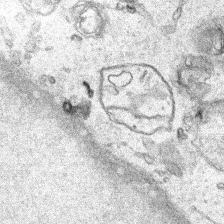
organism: Human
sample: Mitochondria in HCT116 cells